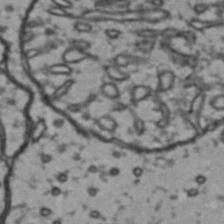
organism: Drosophila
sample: Brain